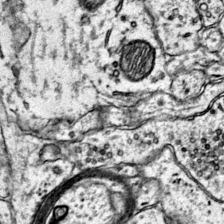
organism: Mouse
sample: Primary visual cortex